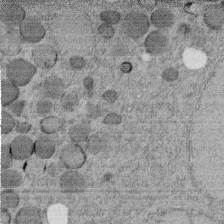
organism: C. elegans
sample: C. elegans embryo early stage